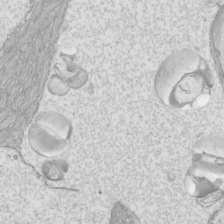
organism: Mouse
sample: Cilia; mouse epididymis